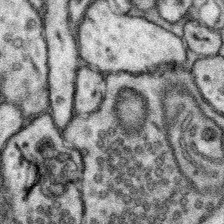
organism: Mouse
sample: Somatosensory cortex neuropil